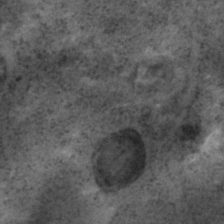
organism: C. elegans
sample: C. elegans embryo